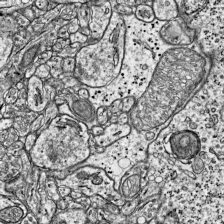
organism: Mouse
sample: Visual Cortex